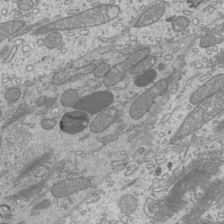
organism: Mouse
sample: Cilia; mouse epididymis